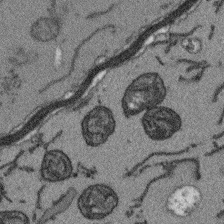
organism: Arabidopsis thaliana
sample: Root tip